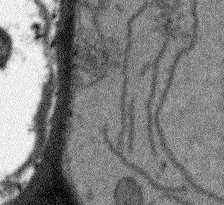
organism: Arabidopsis thaliana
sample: Root tip